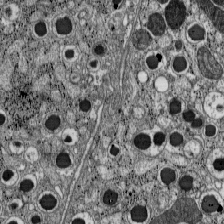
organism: C57BL Mouse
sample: Pancreatic islet